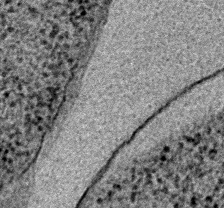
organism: E. coli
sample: E. Coli Bacteria